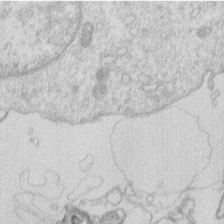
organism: Human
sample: Macrophage cells